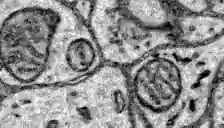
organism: Zebrafish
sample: Brain